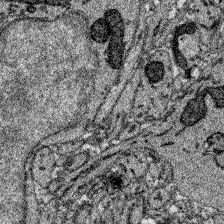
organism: Zebrafish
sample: Larval olfactory bulb